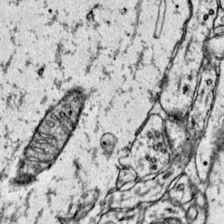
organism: Mouse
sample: Primary visual cortex